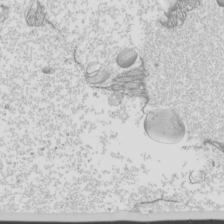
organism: Mouse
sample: Cilia; mouse epididymis